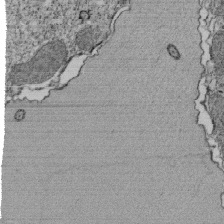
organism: Tetrahymena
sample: Cilia in tetrahymena